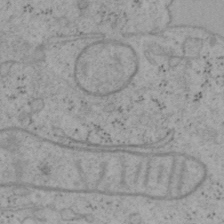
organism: Human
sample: HeLa cells